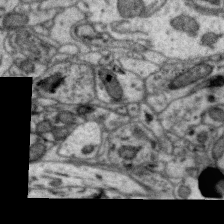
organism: Zebra finch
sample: Brain